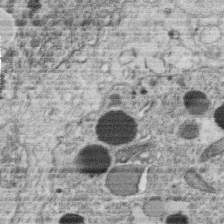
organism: C. elegans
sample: C. elegans oocyte; sperm cells